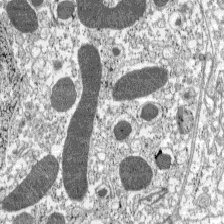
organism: C57BL Mouse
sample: Pancreatic islet